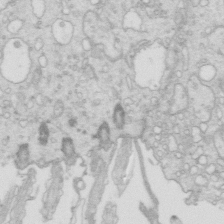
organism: Mouse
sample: Multiciliated cells